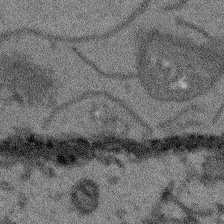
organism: Arabidopsis thaliana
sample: Root tip